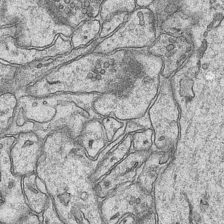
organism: Mouse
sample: CA1 Hippocampus